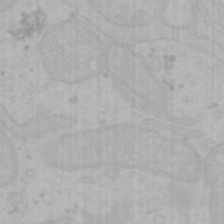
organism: Mouse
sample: Choroid plexus